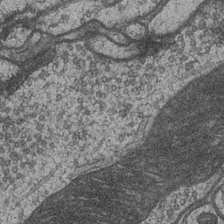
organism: Drosophila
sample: Optic medulla